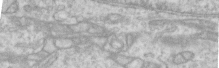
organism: Human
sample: Centriole in RPE cells